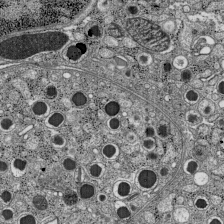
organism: C57BL Mouse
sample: Pancreatic islet